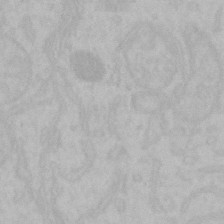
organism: Mouse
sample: Choroid plexus